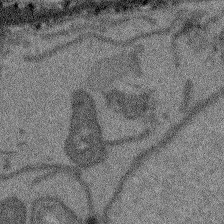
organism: Arabidopsis thaliana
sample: Root tip